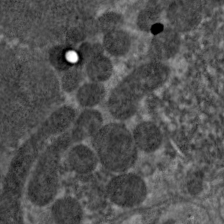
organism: C. elegans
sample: Pharynx